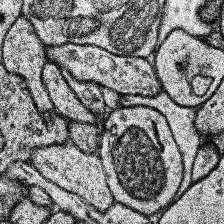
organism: Human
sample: Temporal Lobe